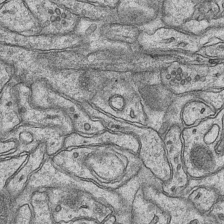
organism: Mouse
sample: CA1 Hippocampus